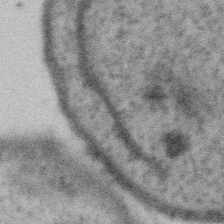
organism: Gemmata obscuriglobus